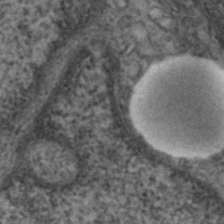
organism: Human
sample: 1205lu cells